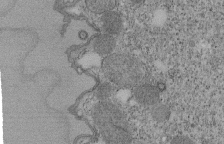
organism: Tetrahymena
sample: Cilia in tetrahymena